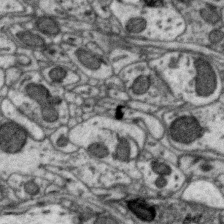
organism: Zebra finch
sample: Brain